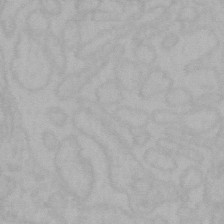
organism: Mouse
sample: Choroid plexus